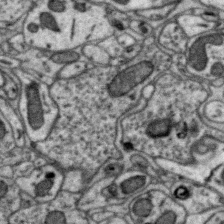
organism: Zebra finch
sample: Brain